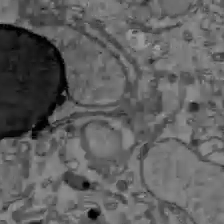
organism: C57BL Mouse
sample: Liver